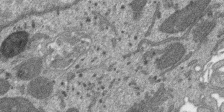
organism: Human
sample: Lung epithelial cells infected with SARS-CoV-2